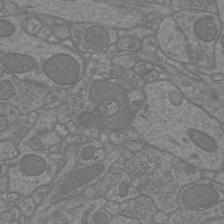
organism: Mouse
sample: Cortical neurons